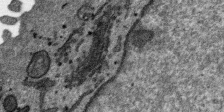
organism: Human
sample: Lung epithelial cells, uninfected (mock) control